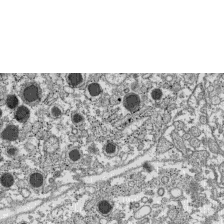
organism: C57BL Mouse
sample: Pancreatic islet